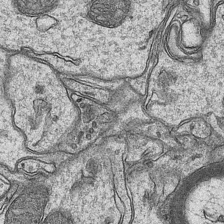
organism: Mouse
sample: CA1 Hippocampus